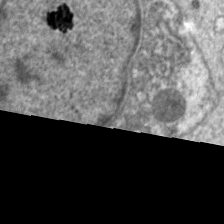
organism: C. elegans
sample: Pharynx